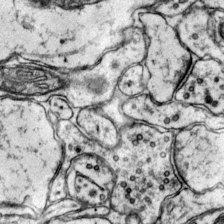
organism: Mouse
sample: Primary visual cortex